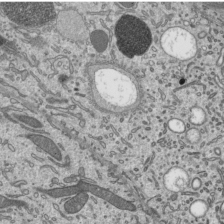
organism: Mouse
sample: Mouse epididymis efferent ductule cilia